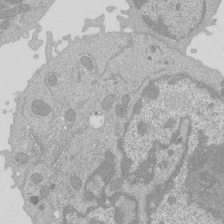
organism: Mouse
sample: Activated Pmel transgenic CD8+ T Cells